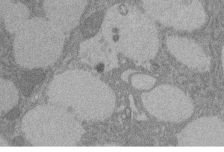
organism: Rat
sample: Salivary granule